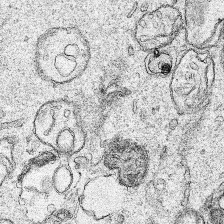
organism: Human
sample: Mitochondria in HCT116 cells